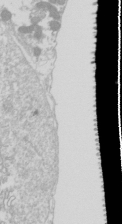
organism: Drosophila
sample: Cell division; meiosis; drosophila spermatocytes